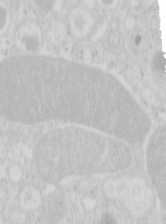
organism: Mouse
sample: Pancreas